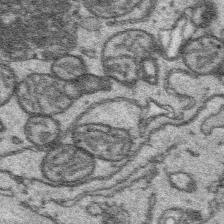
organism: Platynereis dumerilii